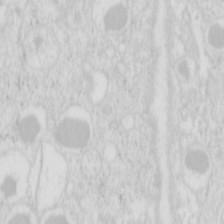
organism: Mouse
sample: Pancreas